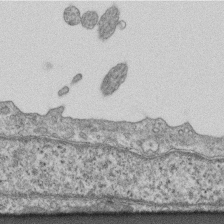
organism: Mouse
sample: Centriole in ependymal cells